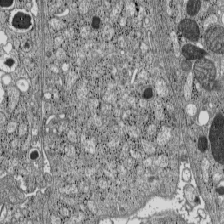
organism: C57BL Mouse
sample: Pancreatic islet